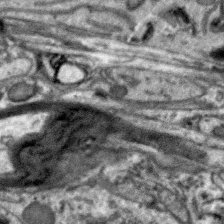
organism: Zebra finch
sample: Brain